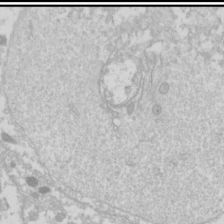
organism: Drosophila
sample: Cell division; meiosis; drosophila spermatocytes